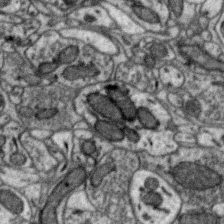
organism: Zebra finch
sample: Brain